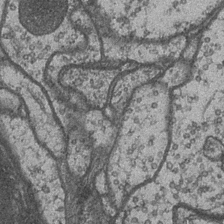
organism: Drosophila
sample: Optic medulla